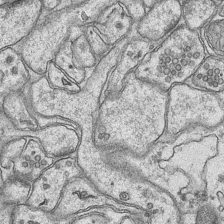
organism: Mouse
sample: CA1 Hippocampus